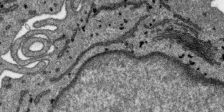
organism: Human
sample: Lung epithelial cells, uninfected (mock) control